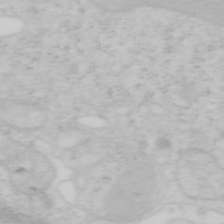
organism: Mouse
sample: OT-I killer T cells with ID8 ovarian cancer cells